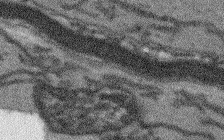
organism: Arabidopsis thaliana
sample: Root tip